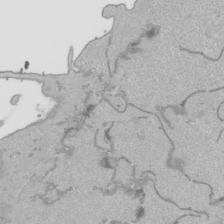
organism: Human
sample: Mitochondria in HCT116 cells